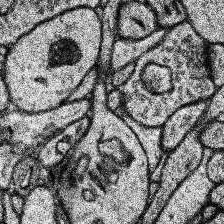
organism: Human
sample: Temporal Lobe